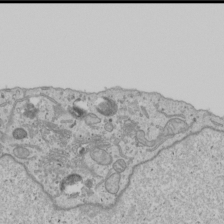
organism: Human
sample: Mitochondria in U2OS cells